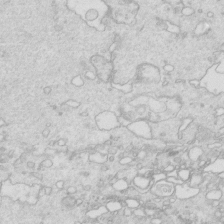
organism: Mouse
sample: Multiciliated cells